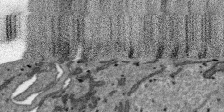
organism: Human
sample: Lung epithelial cells, uninfected (mock) control